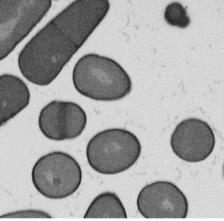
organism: B. subtilis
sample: Bacterial spore